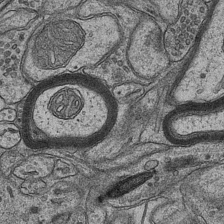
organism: Mouse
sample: CA1 Hippocampus